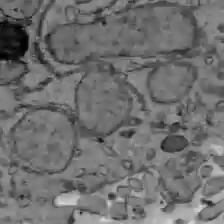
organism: C57BL Mouse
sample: Liver